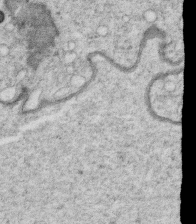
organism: C. elegans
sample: C. elegans oocyte; sperm cells